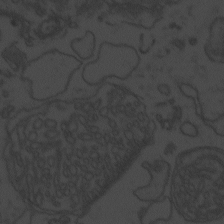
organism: Zebrafish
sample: Macrophage infected with Toxoplasma gondii